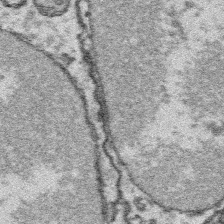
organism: Platynereis dumerilii